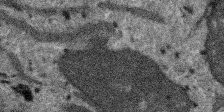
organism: Human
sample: Lung epithelial cells infected with SARS-CoV-2